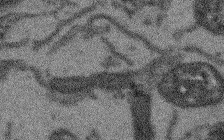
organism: Arabidopsis thaliana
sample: Root tip